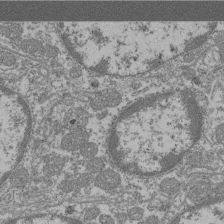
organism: Mouse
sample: Glomerulus